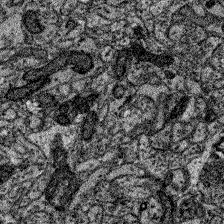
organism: Zebrafish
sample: Larval olfactory bulb